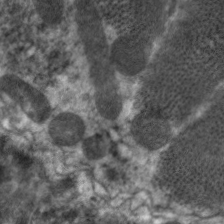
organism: C. elegans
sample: Pharynx